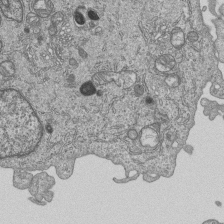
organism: Human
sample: MDA-MB-231 cells